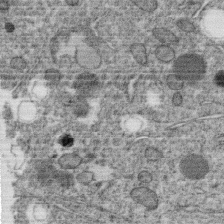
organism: C. elegans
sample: C. elegans oocyte; sperm cells